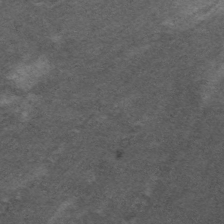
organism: C. elegans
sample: Pharynx